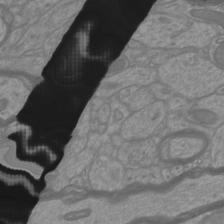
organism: Mouse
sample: Cortical neurons